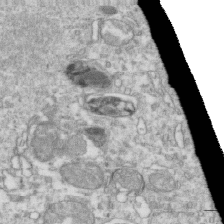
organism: Mouse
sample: Activated OT-1 CD8+ T cells